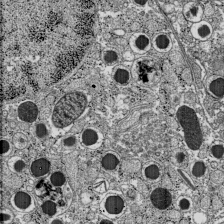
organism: C57BL Mouse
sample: Pancreatic islet